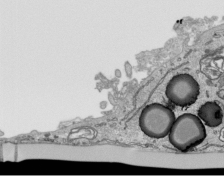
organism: Human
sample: Mitochondria in HCT116 cells